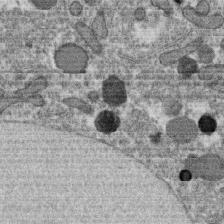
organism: C. elegans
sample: C. elegans oocyte; sperm cells